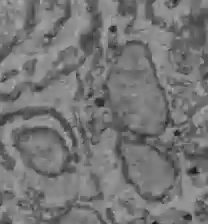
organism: C57BL Mouse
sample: Liver